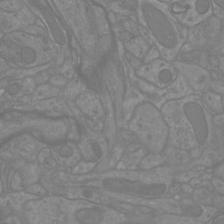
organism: Mouse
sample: Cortical neurons